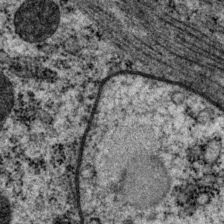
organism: P. pacificus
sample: Pharynx